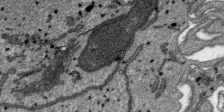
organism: Human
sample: Lung epithelial cells, uninfected (mock) control